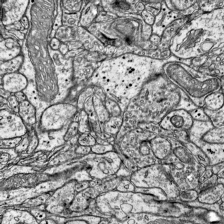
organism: Mouse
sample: Visual Cortex